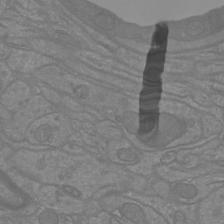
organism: Mouse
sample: Cortical neurons